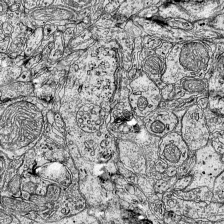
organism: Mouse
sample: Visual Cortex